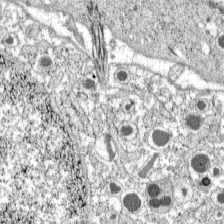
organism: C57BL Mouse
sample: Pancreatic islet